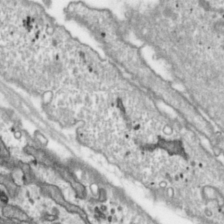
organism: Toxoplasma gondii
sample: Parasites in a vacuole inside a host cell